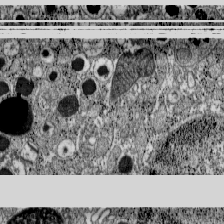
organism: C57BL Mouse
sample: Pancreatic islet